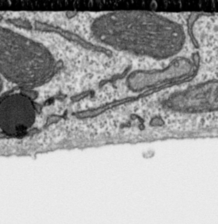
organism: Toxoplasma gondii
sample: Parasites in a vacuole inside a host cell